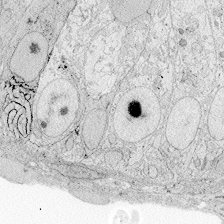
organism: Zebrafish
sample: Whole-Brain